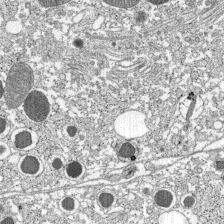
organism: C57BL Mouse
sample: Pancreatic islet